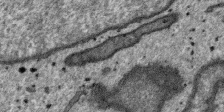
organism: Human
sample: Lung epithelial cells, uninfected (mock) control